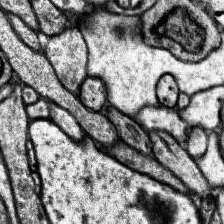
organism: Human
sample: Temporal Lobe